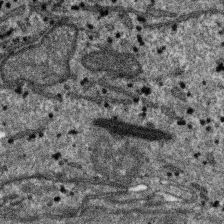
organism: Human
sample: Lung epithelial cells infected with SARS-CoV-2